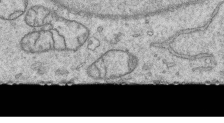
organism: Human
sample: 1205lu cells